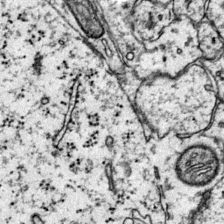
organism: Mouse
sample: Primary visual cortex